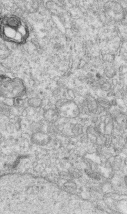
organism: Human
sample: HeLa cell HIV synapse